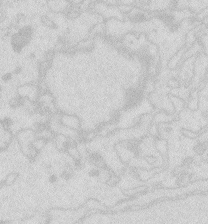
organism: Zebrafish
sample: Macrophage